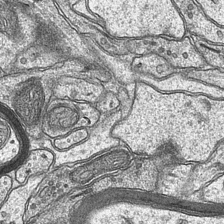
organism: Mouse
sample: CA1 Hippocampus